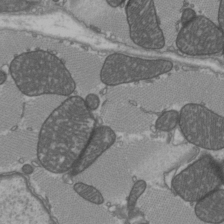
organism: C57BL Mouse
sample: Heart